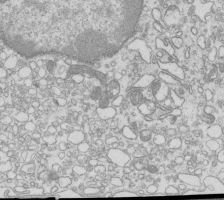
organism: Mouse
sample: Macrophages